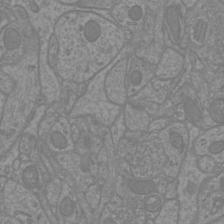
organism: Mouse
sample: Cortical neurons